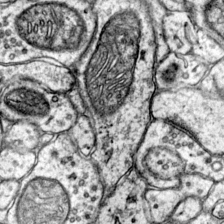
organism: Mouse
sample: Primary visual cortex